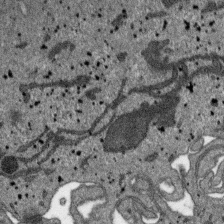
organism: Human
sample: Lung epithelial cells, uninfected (mock) control